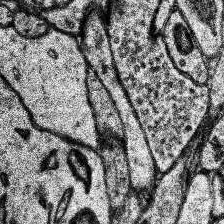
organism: Human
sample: Temporal Lobe